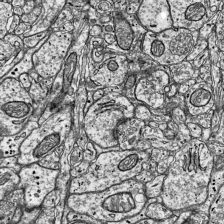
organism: Mouse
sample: Visual Cortex